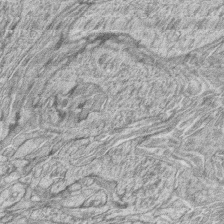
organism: Zebrafish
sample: synaptic ribbons in rod cells and cone cells